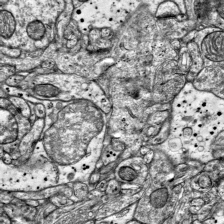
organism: Mouse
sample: Visual Cortex